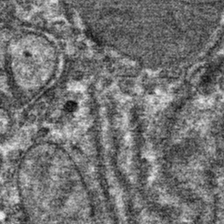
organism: Mouse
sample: Mouse hepatocytes